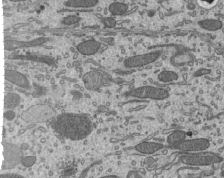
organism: Mouse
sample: Mouse epididymis efferent ductule cilia